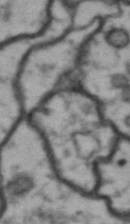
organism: Drosophila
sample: Brain